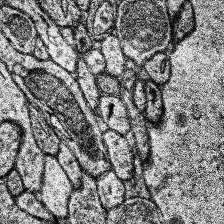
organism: Human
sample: Temporal Lobe